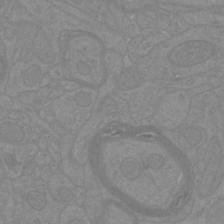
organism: Mouse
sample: Cortical neurons